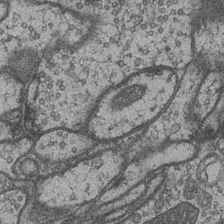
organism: Drosophila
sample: Optic medulla